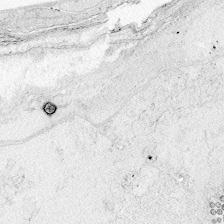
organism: Zebrafish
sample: Whole-Brain